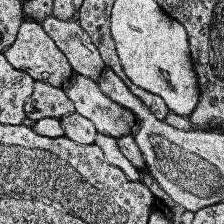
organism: Human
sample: Temporal Lobe